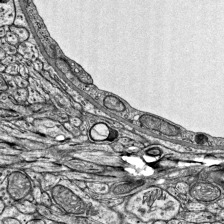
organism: Mouse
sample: Visual Cortex